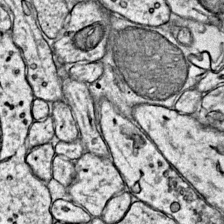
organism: Mouse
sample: Primary visual cortex